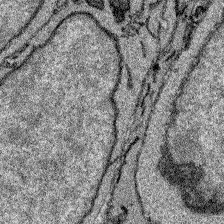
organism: Zebrafish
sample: Larval olfactory bulb